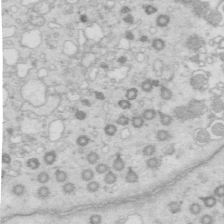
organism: Mouse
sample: Multiciliated cells